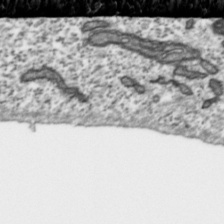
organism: Toxoplasma gondii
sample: Parasites in a vacuole inside a host cell